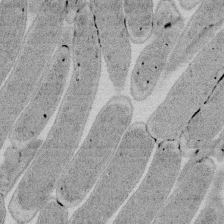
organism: E. coli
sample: Bacterial nucleoid